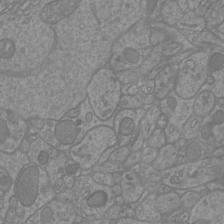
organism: Mouse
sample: Cortical neurons